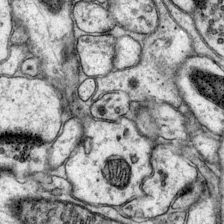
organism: Mouse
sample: Primary visual cortex